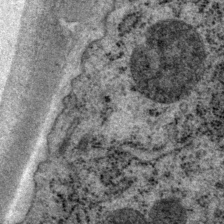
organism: P. pacificus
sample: Pharynx